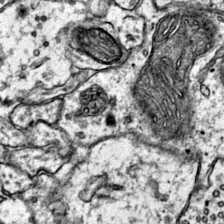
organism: Mouse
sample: Primary visual cortex